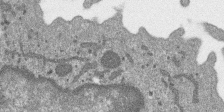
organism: Human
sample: Lung epithelial cells infected with SARS-CoV-2